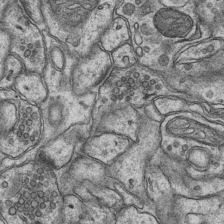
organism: Mouse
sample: CA1 Hippocampus